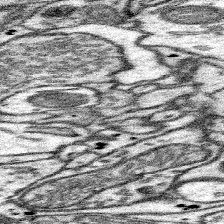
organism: Mouse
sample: Somatosensory cortex neuropil